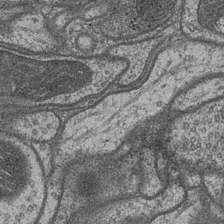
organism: Drosophila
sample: Optic medulla